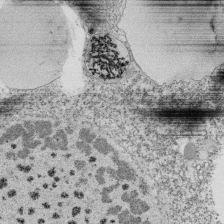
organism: Tetrahymena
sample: Cilia in tetrahymena